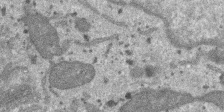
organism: Human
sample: Lung epithelial cells infected with SARS-CoV-2